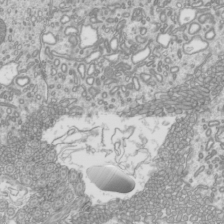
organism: Mouse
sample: Cilia; mouse epididymis